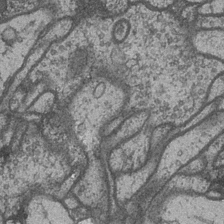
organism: Drosophila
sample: Optic medulla